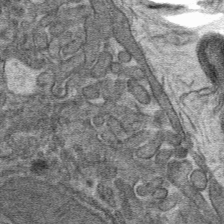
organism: Mouse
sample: Mouse hepatocytes